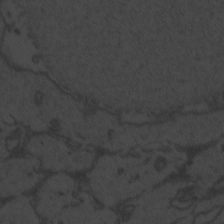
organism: Zebrafish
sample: Macrophage infected with Toxoplasma gondii